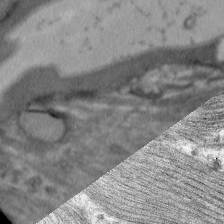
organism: C. elegans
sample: Pharynx